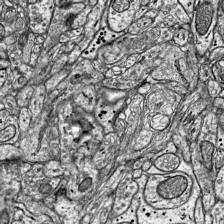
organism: Mouse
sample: Visual Cortex